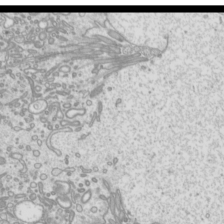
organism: Mouse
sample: Cilia; mouse epididymis